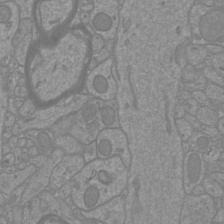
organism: Mouse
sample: Cortical neurons